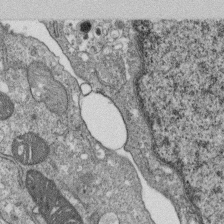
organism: African green monkey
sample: Vero E6 cells infected with SARS-CoV-2